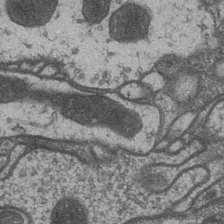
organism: Drosophila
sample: Optic medulla